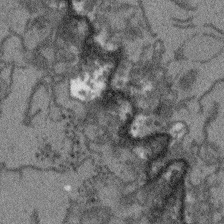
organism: Arabidopsis thaliana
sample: Root tip